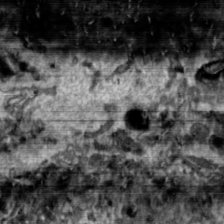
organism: Toxoplasma gondii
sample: Parasites in a vacuole inside a host cell